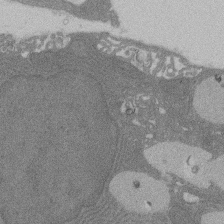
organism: Rat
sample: Salivary granule